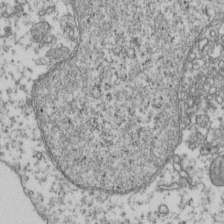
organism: Human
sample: Activated Jurkat CD4+ T cells